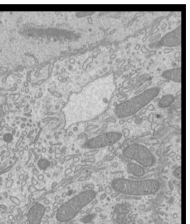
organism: Mouse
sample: Cilia; mouse epididymis